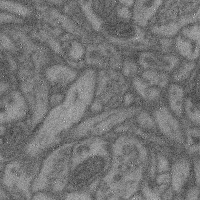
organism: Mouse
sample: Cerebral cortex